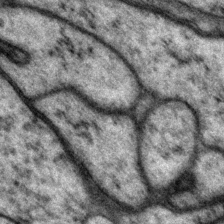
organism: P. pacificus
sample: Pharynx